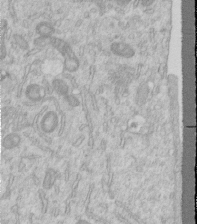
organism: Human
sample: Centriole in RPE cells